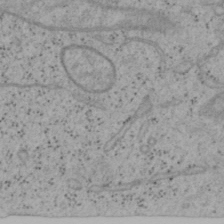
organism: Human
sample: HeLa cells